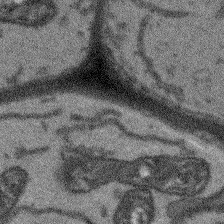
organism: Arabidopsis thaliana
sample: Root tip